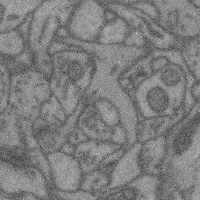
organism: Mouse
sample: Cerebral cortex